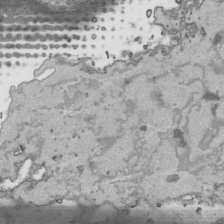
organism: Human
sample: Mitochondria in HCT116 cells